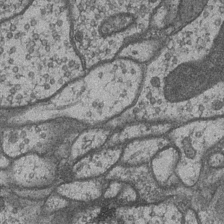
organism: Drosophila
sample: Optic medulla